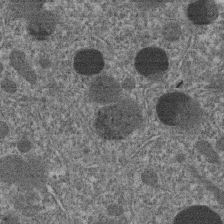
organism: C. elegans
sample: C. elegans embryo early stage